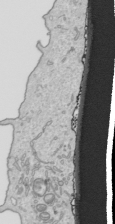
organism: Human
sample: Mitochondria in HCT116 cells